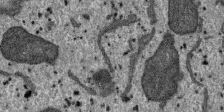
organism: Human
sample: Lung epithelial cells, uninfected (mock) control